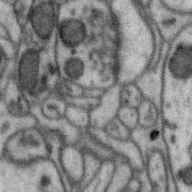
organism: Zebra finch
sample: Brain